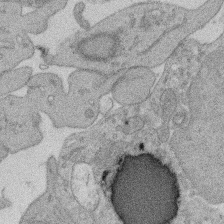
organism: Rat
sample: Salivary granule